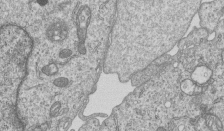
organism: Human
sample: MDA-MB-231 cells